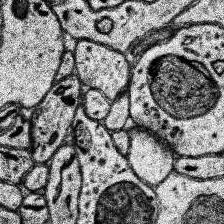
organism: Human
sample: Temporal Lobe